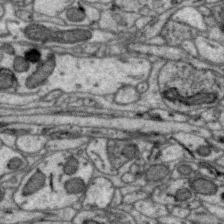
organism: Zebra finch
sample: Brain